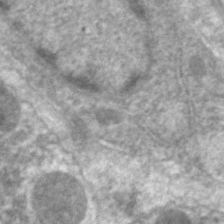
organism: C. elegans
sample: Pharynx